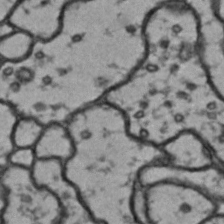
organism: Drosophila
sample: Brain